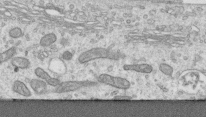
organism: Human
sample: Centriole in RPE cells